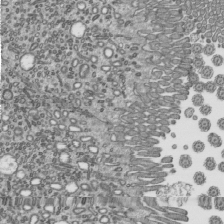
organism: Mouse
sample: Mouse epididymis efferent ductule cilia